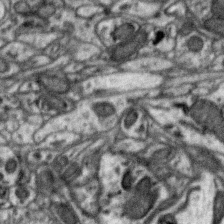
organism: Zebra finch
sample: Brain